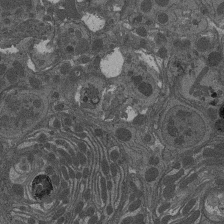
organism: Drosophila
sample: Antenna